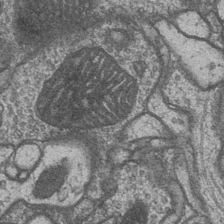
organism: Drosophila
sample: Optic medulla